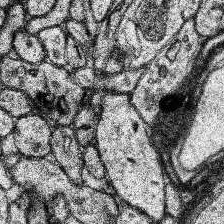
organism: Human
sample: Temporal Lobe